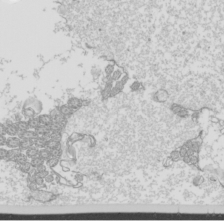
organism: Mouse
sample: Cilia; mouse epididymis